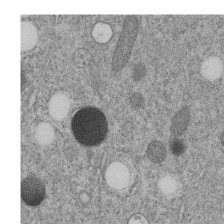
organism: C. elegans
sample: C. elegans embryo early stage